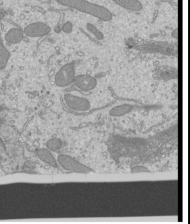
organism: Mouse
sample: Cilia; mouse epididymis